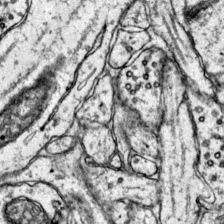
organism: Mouse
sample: Primary visual cortex